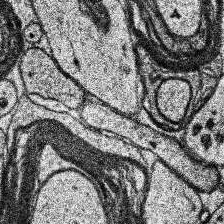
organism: Human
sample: Temporal Lobe